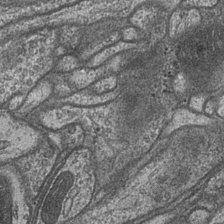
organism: Drosophila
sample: Optic medulla